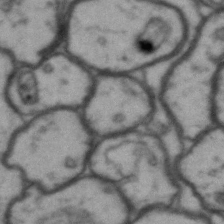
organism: Drosophila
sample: Brain